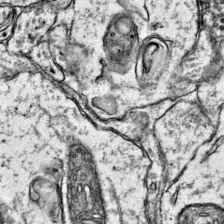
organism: Mouse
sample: Primary visual cortex